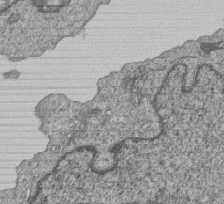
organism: Human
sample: MDA-MB-231 cells